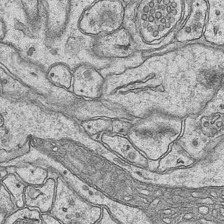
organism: Mouse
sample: CA1 Hippocampus